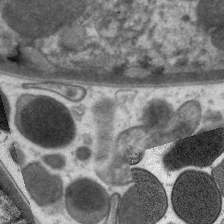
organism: C. elegans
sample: Pharynx